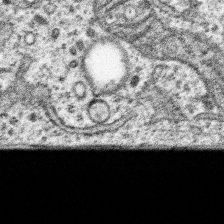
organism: Human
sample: HeLa cells